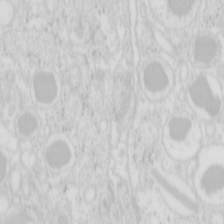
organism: Mouse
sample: Pancreas